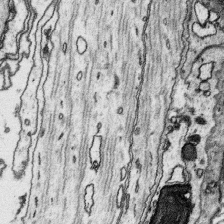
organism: Platynereis dumerilii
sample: Parapodia